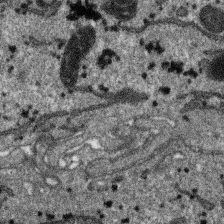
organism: Human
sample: Lung epithelial cells infected with SARS-CoV-2